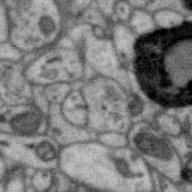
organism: Zebra finch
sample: Brain